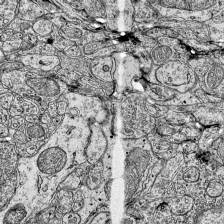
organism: Mouse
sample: Visual Cortex